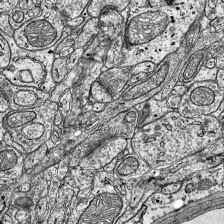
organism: Mouse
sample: Visual Cortex